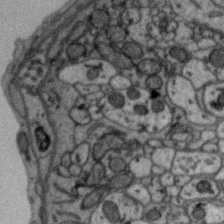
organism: Zebra finch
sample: Brain